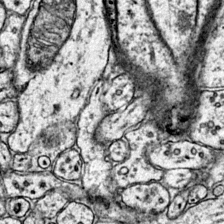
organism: Mouse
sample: Primary visual cortex